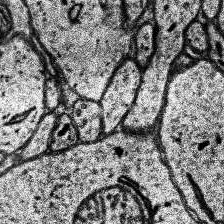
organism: Human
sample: Temporal Lobe